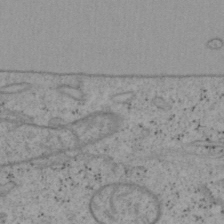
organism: Human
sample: HeLa cells